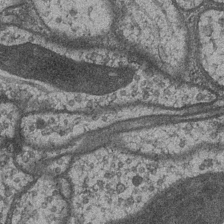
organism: Drosophila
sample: Optic medulla